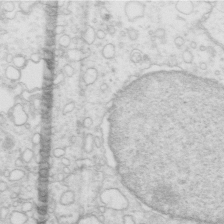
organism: Mouse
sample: Multiciliated cells